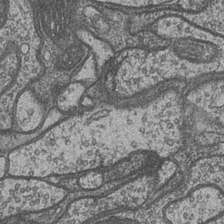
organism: Drosophila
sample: Optic medulla